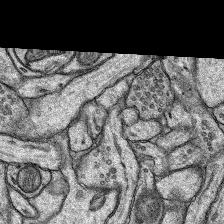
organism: Rat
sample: Hippocampus